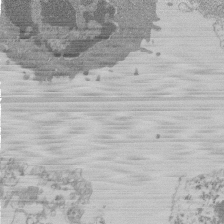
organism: Mouse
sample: Activated Pmel transgenic CD8+ T Cells